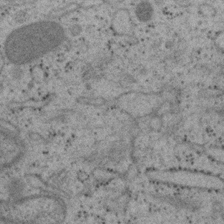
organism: Human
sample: HeLa cells